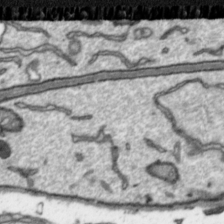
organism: Toxoplasma gondii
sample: Parasites in a vacuole inside a host cell